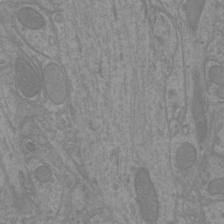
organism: Mouse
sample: Cortical neurons